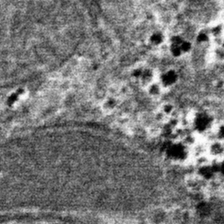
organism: Mouse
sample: Mouse hepatocytes